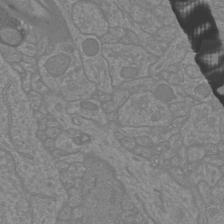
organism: Mouse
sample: Cortical neurons